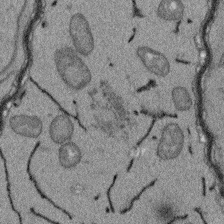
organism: Arabidopsis thaliana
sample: Root tip